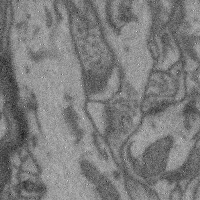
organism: Mouse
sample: Cerebral cortex